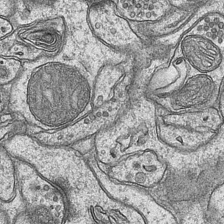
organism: Mouse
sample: CA1 Hippocampus